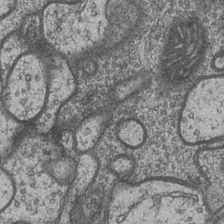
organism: Drosophila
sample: Optic medulla